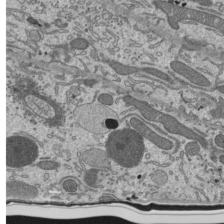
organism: Mouse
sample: Mouse epididymis efferent ductule cilia